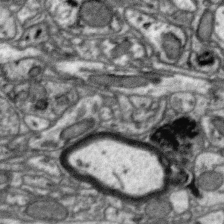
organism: Zebra finch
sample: Brain